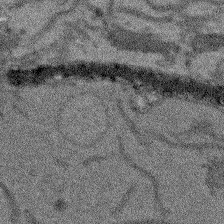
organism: Arabidopsis thaliana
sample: Root tip